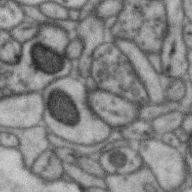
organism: Zebra finch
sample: Brain